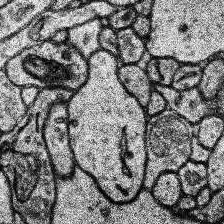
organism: Human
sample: Temporal Lobe